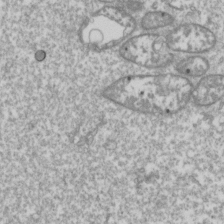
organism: Drosophila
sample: Cell division; meiosis; drosophila spermatocytes